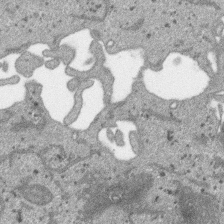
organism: Human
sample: Lung epithelial cells infected with SARS-CoV-2